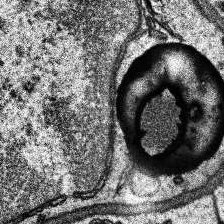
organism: Human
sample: Temporal Lobe